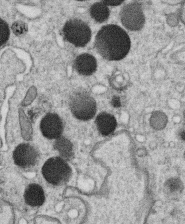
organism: C. elegans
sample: C. elegans oocyte; sperm cells